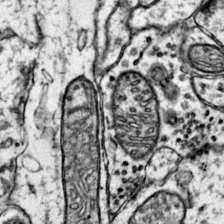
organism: Mouse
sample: Primary visual cortex